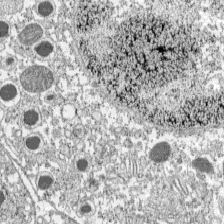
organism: C57BL Mouse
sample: Pancreatic islet